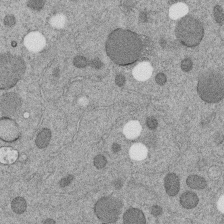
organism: C. elegans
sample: C. elegans embryo early stage